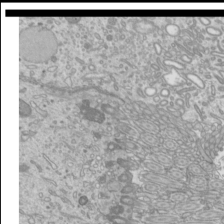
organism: Mouse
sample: Cilia; mouse epididymis